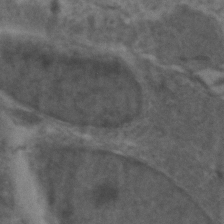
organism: Zebrafish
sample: Zebrafish embryo